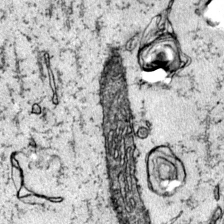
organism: Mouse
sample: Primary visual cortex